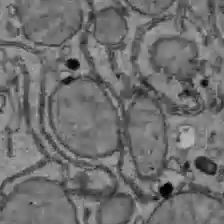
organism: C57BL Mouse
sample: Liver